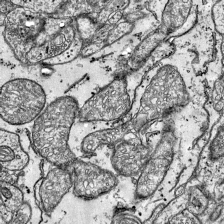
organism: Mouse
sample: Visual Cortex